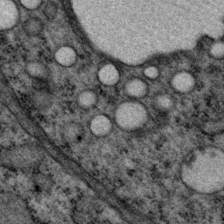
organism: P. pacificus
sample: Pharynx